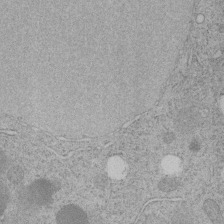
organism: C. elegans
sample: C. elegans embryo early stage